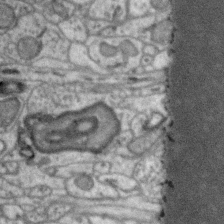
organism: Zebra finch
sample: Brain